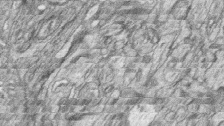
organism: Zebrafish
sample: synaptic ribbons in rod cells and cone cells